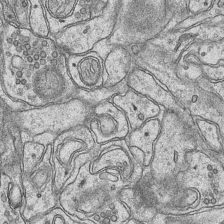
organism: Mouse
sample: CA1 Hippocampus